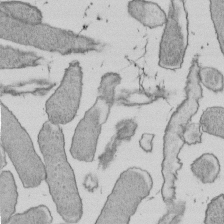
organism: E. coli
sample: Bacterial nucleoid